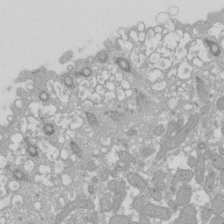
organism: Xenopus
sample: Cilia; centrioles in frog embryo cells